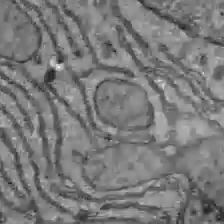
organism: C57BL Mouse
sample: Liver